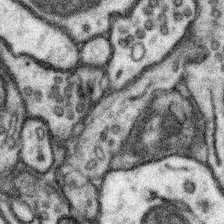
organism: Mouse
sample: Somatosensory cortex neuropil